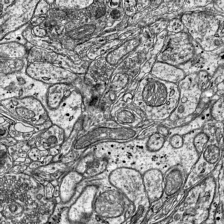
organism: Mouse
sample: Visual Cortex